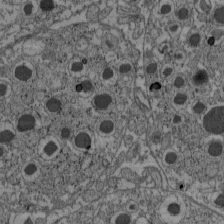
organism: C57BL Mouse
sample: Pancreatic islet